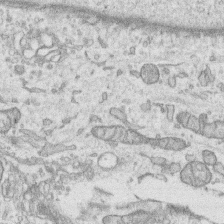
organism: Human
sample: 1205lu cells